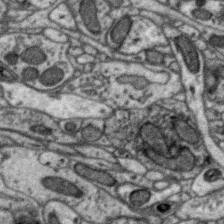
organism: Zebra finch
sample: Brain